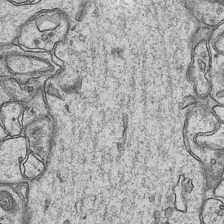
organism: Mouse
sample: CA1 Hippocampus